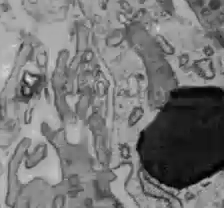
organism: C57BL Mouse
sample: Liver